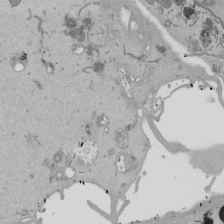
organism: Mouse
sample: ED-1 cell nuclei; centrioles